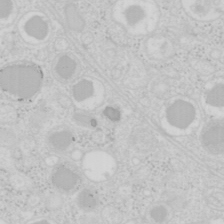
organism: Mouse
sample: Pancreas